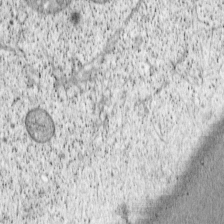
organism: African green monkey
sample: COS-7 cells